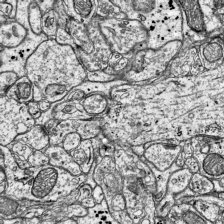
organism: Mouse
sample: Visual Cortex